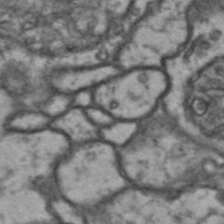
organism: Drosophila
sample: Brain